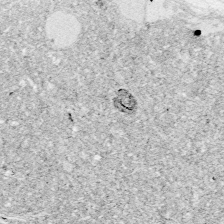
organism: Zebrafish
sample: Whole-Brain